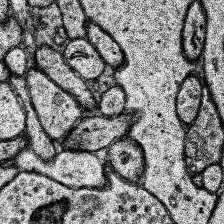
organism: Human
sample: Temporal Lobe